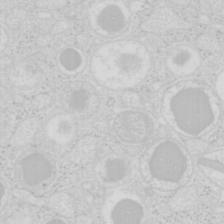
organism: Mouse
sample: Pancreas